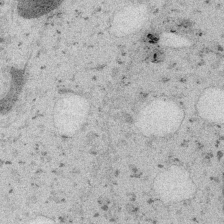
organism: Embia sp.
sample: Silk gland